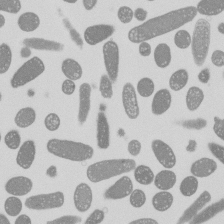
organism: E. coli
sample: Bacterial nucleoid